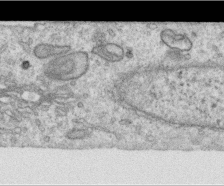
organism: Human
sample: Centriole in RPE cells